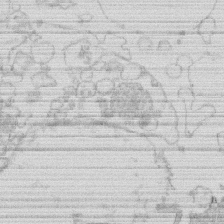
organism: Human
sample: Macrophage cells